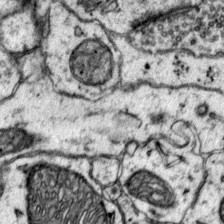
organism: Mouse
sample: Primary visual cortex